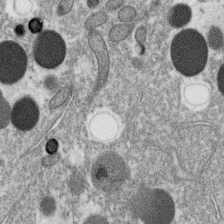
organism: C. elegans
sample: C. elegans oocyte; sperm cells